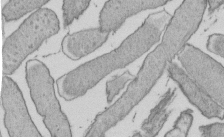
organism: E. coli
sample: Bacterial nucleoid